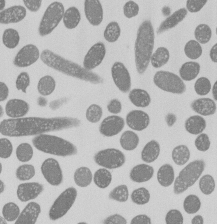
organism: E. coli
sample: Bacterial nucleoid